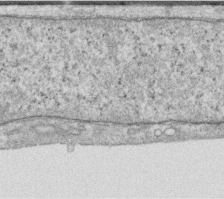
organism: Human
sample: Centriole in RPE cells